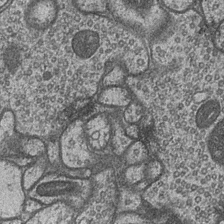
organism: Drosophila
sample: Optic medulla